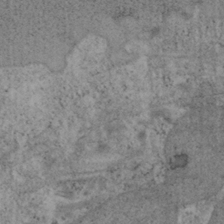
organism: Mouse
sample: OT-I killer T cells with ID8 ovarian cancer cells